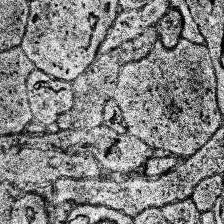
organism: Human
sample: Temporal Lobe